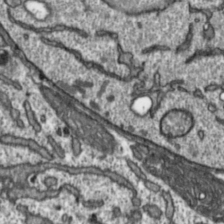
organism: Toxoplasma gondii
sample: Parasites in a vacuole inside a host cell